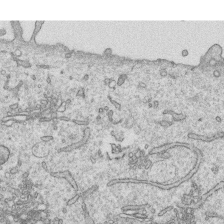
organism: Human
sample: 1205lu cells